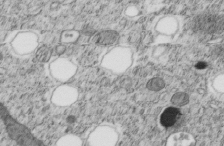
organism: C. elegans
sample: C. elegans embryo early stage